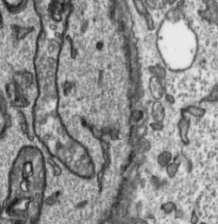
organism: Toxoplasma gondii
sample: Parasites in a vacuole inside a host cell